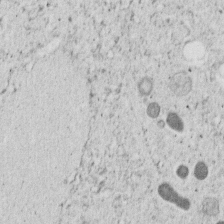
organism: C. elegans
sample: C. elegans embryo early stage